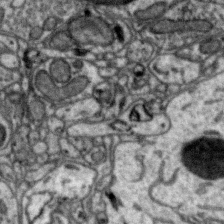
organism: Zebra finch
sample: Brain